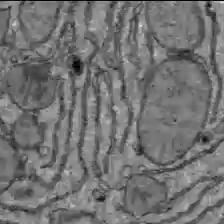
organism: C57BL Mouse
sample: Liver